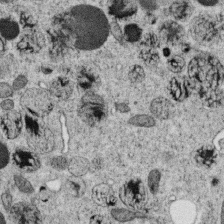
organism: C. elegans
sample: C. elegans oocyte; sperm cells